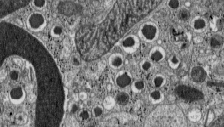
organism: C57BL Mouse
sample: Pancreatic islet